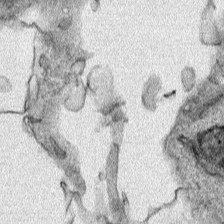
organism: Human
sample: Mitochondria in HCT116 cells